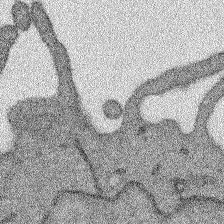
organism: Human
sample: HeLa cells